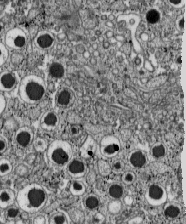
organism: C57BL Mouse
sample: Pancreatic islet